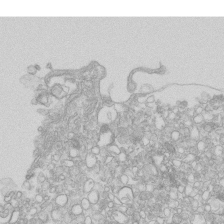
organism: Mouse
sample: Macrophages